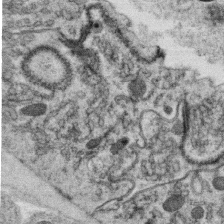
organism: C. elegans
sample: C. elegans oocyte; sperm cells